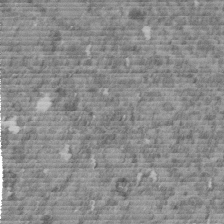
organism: C. elegans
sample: C. elegans embryo early stage